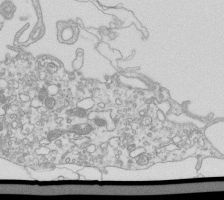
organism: Mouse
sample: Macrophages